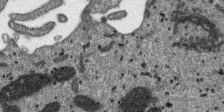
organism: Human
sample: Lung epithelial cells infected with SARS-CoV-2